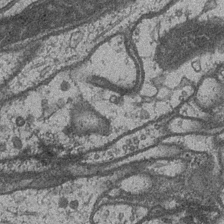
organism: Drosophila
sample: Optic medulla